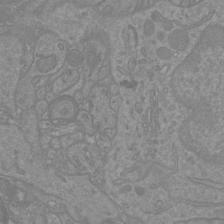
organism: Mouse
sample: Cortical neurons